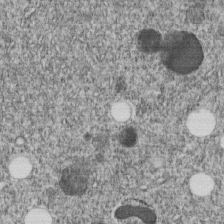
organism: C. elegans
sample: C. elegans embryo early stage